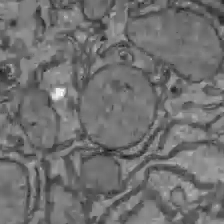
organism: C57BL Mouse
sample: Liver